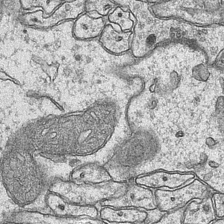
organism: Mouse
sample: CA1 Hippocampus